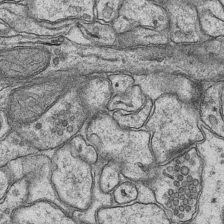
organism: Mouse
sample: CA1 Hippocampus